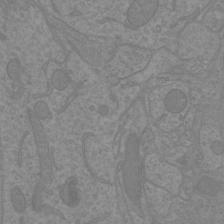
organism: Mouse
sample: Cortical neurons